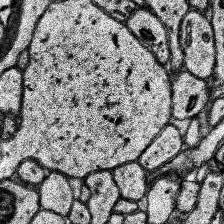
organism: Human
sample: Temporal Lobe